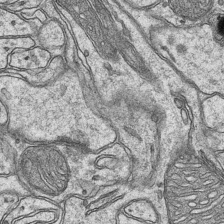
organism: Mouse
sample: CA1 Hippocampus